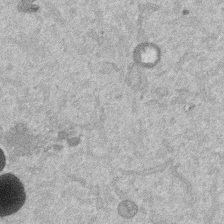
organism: Mouse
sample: Dividing mouse embryo 1 cell stage